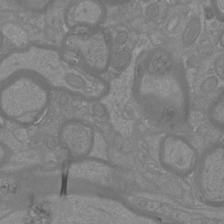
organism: Mouse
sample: Cortical neurons